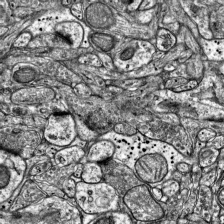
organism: Mouse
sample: Visual Cortex